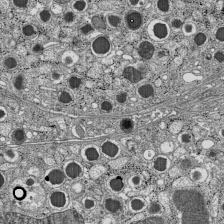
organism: C57BL Mouse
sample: Pancreatic islet